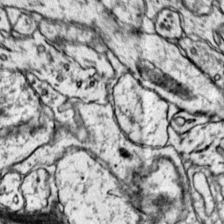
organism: Mouse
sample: Primary visual cortex